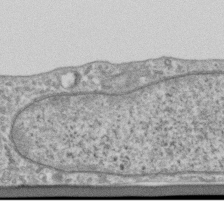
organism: Human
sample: Centriole in RPE cells